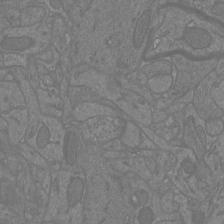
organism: Mouse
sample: Cortical neurons